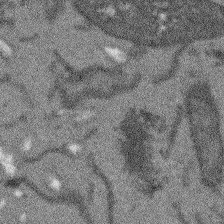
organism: Arabidopsis thaliana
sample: Root tip